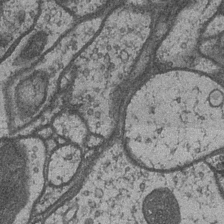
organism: Drosophila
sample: Optic medulla